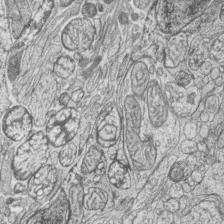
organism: Zebrafish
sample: synaptic ribbons in rod cells and cone cells